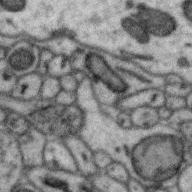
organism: Zebra finch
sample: Brain